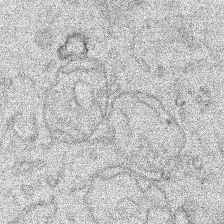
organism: Human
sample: Mitochondria in HCT116 cells